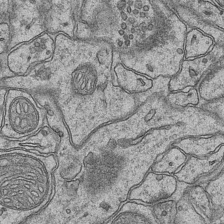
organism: Mouse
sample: CA1 Hippocampus